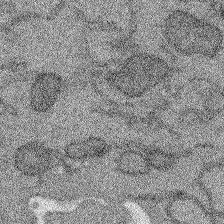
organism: Human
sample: HeLa cells